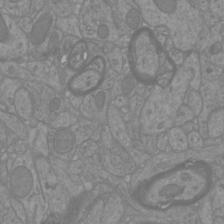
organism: Mouse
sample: Cortical neurons